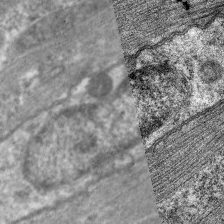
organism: C. elegans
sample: Pharynx